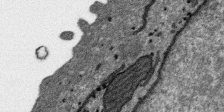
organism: Human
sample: Lung epithelial cells, uninfected (mock) control